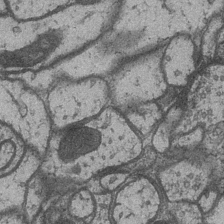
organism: Drosophila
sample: Optic medulla